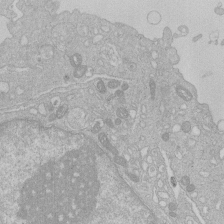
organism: Human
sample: Macrophage cells